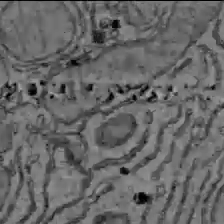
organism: C57BL Mouse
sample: Liver